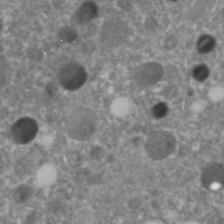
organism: C. elegans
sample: C. elegans embryo